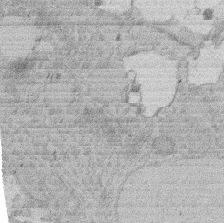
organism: Rat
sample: Salivary granule